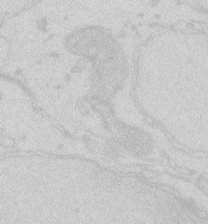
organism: Zebrafish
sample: Macrophage